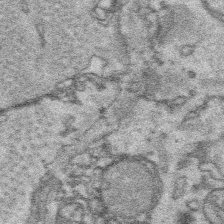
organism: Platynereis dumerilii